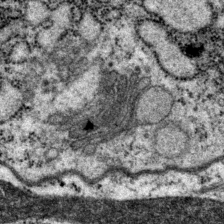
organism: P. pacificus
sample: Pharynx